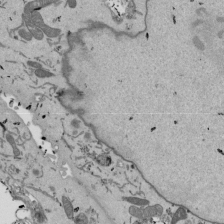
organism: Mouse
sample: ED-1 cell nuclei; centrioles